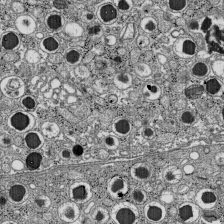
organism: C57BL Mouse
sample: Pancreatic islet